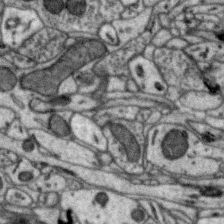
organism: Zebra finch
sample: Brain